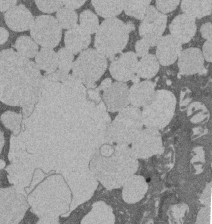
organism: Rat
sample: Salivary granule